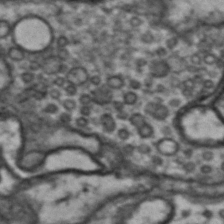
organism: Drosophila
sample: Brain